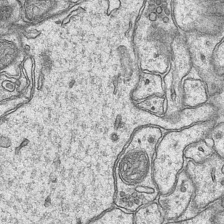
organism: Mouse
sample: CA1 Hippocampus